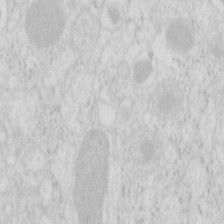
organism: Mouse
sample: Pancreas